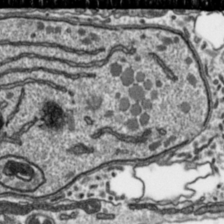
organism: Toxoplasma gondii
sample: Parasites in a vacuole inside a host cell